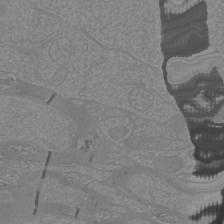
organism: Mouse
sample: Cortical neurons